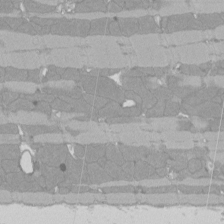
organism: Rat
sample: Left ventricle